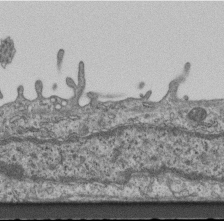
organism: Mouse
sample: Centriole in ependymal cells